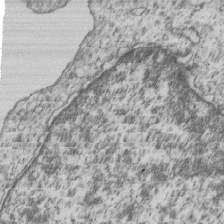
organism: Human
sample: MDA-MB-231 cells